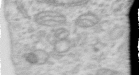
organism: Human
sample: Centriole in RPE cells